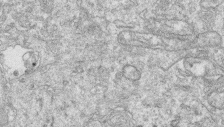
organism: Human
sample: HeLa cell HIV synapse